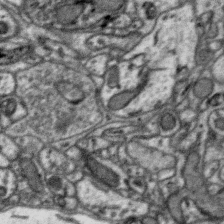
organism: Zebra finch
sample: Brain